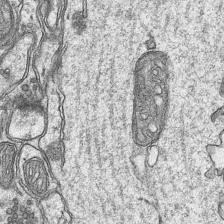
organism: Mouse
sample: CA1 Hippocampus